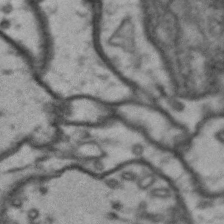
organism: Drosophila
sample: Brain